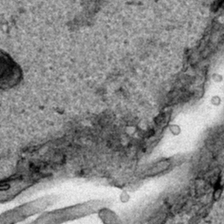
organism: Human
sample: Mitochondria in HCT116 cells